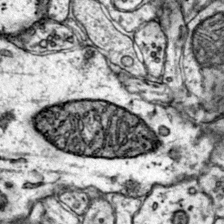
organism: Mouse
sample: Primary visual cortex